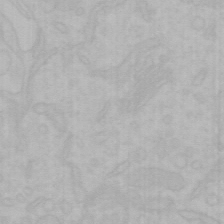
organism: Mouse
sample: Choroid plexus